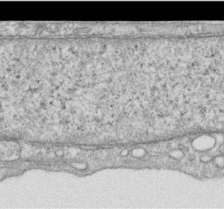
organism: Human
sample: Centriole in RPE cells